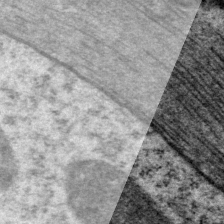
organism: P. pacificus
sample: Pharynx